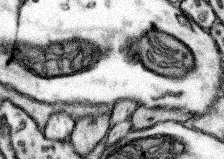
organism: Mouse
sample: Somatosensory cortex neuropil